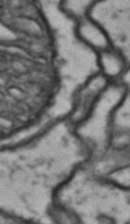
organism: Drosophila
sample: Brain